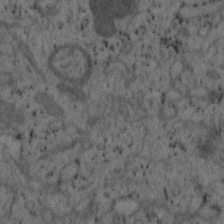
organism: Human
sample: HeLa cells